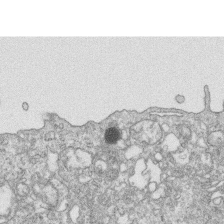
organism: Human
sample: HeLa cell HIV synapse